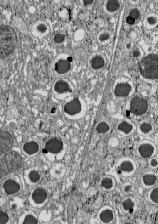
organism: C57BL Mouse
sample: Pancreatic islet